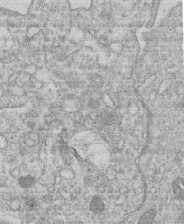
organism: Human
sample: Macrophage cells